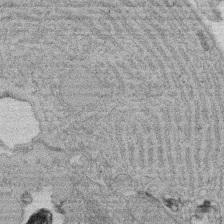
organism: Rat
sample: Salivary granule